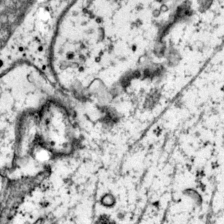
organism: Mouse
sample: Primary visual cortex